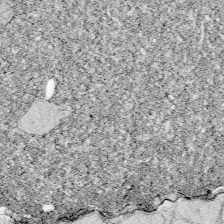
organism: Zebrafish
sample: Whole-Brain